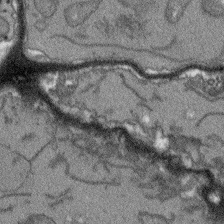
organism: Arabidopsis thaliana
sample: Root tip